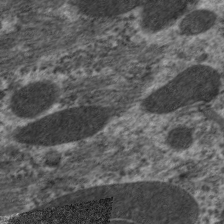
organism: C. elegans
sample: Pharynx